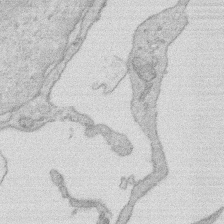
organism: Rat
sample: Salivary granule